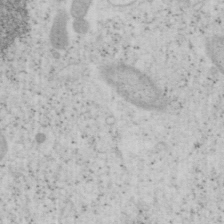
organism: Human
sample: HeLa cells